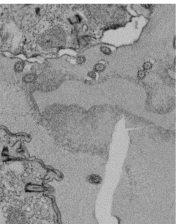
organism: Tetrahymena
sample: Cilia in tetrahymena